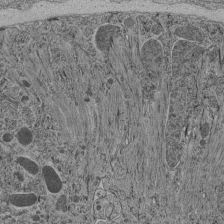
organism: C. elegans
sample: C. elegans pharynx